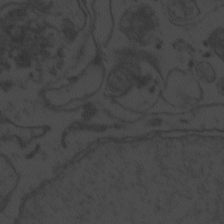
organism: Zebrafish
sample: Macrophage infected with Toxoplasma gondii